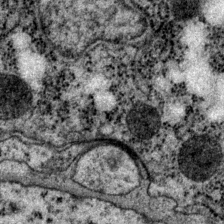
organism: P. pacificus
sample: Pharynx